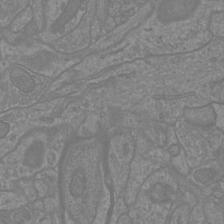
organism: Mouse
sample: Cortical neurons